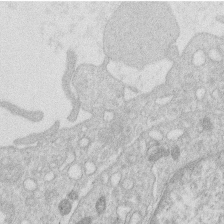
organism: Human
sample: Macrophage cells